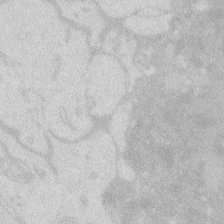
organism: Zebrafish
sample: Macrophage